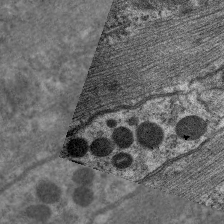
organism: C. elegans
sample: Pharynx